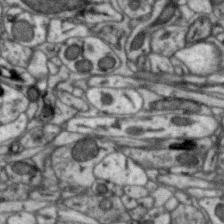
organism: Zebra finch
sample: Brain